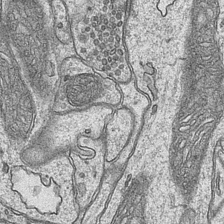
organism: Mouse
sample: CA1 Hippocampus